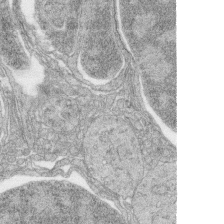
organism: Zebrafish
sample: synaptic ribbons in rod cells and cone cells